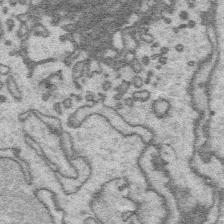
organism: Platynereis dumerilii